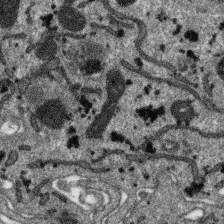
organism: Human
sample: Lung epithelial cells infected with SARS-CoV-2